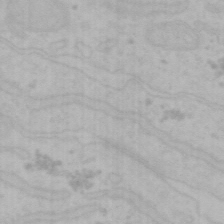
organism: Mouse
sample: Choroid plexus